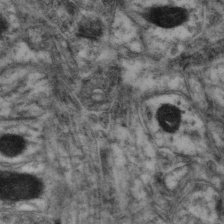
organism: Mouse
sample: Neocortex